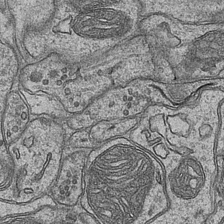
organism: Mouse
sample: CA1 Hippocampus